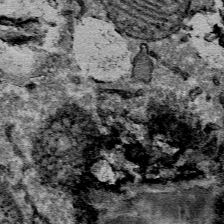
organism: Mouse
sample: Mouse Salivary gland